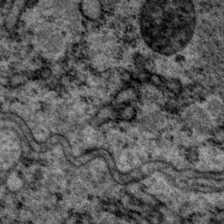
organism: P. pacificus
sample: Pharynx